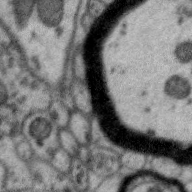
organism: Zebra finch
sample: Brain